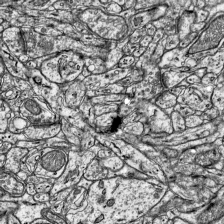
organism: Mouse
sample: Visual Cortex